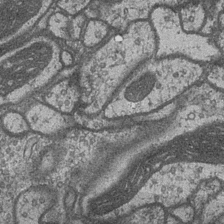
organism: Drosophila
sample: Optic medulla